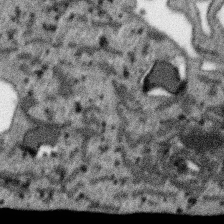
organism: Human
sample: Lung epithelial cells infected with SARS-CoV-2